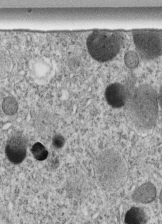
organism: C. elegans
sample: C. elegans embryo early stage